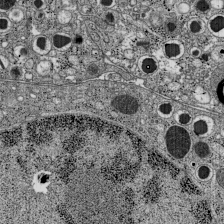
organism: C57BL Mouse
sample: Pancreatic islet